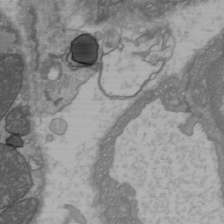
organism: C57BL Mouse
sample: Heart